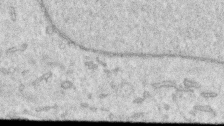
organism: Human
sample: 1205lu cells